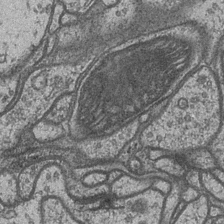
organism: Drosophila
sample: Optic medulla